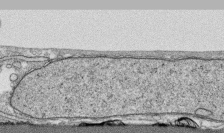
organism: Human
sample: CRL-1474